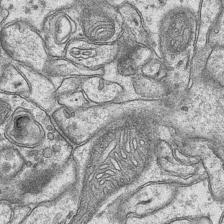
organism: Mouse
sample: CA1 Hippocampus